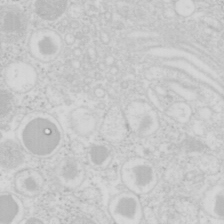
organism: Mouse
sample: Pancreas